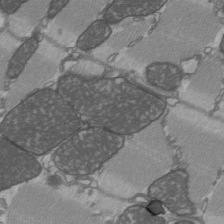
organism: C57BL Mouse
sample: Heart